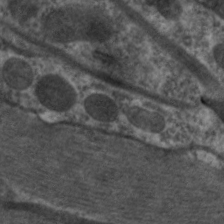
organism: C. elegans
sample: Pharynx